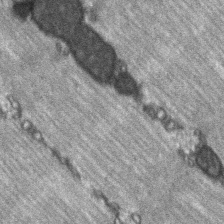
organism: C57BL Mouse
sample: Soleus